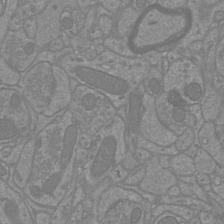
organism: Mouse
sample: Cortical neurons